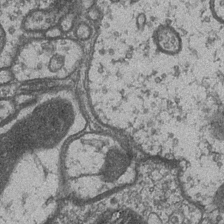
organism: Drosophila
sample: Optic medulla